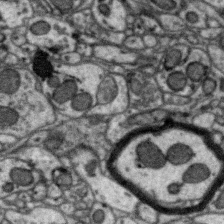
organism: Zebra finch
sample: Brain